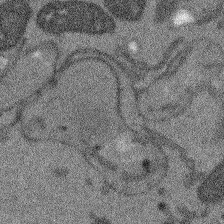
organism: Arabidopsis thaliana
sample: Root tip